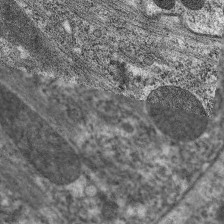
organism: C. elegans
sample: Pharynx